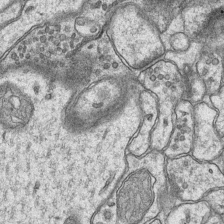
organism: Mouse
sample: CA1 Hippocampus